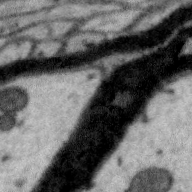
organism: Zebra finch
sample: Brain